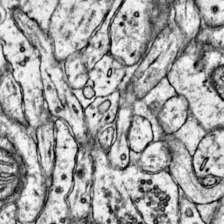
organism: Mouse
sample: Primary visual cortex